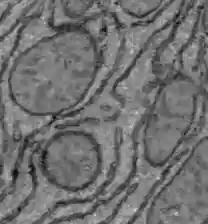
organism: C57BL Mouse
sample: Liver